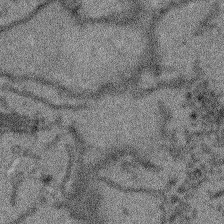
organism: Arabidopsis thaliana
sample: Root tip